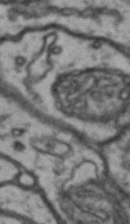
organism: Drosophila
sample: Brain